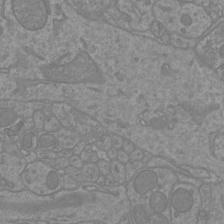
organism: Mouse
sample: Cortical neurons